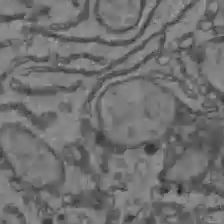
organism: C57BL Mouse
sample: Liver